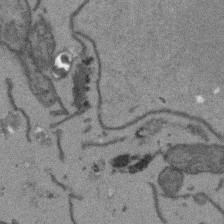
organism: Arabidopsis thaliana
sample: Root tip